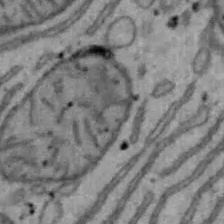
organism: Mouse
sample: Liver